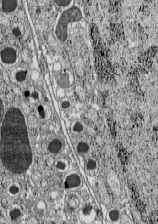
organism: C57BL Mouse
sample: Pancreatic islet